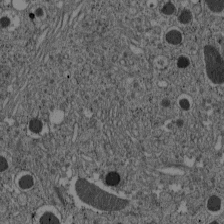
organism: C57BL Mouse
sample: Pancreatic islet